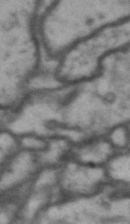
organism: Drosophila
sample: Brain